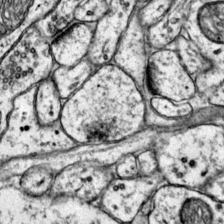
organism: Mouse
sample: Primary visual cortex